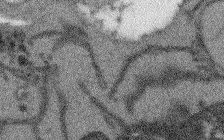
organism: Arabidopsis thaliana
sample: Root tip